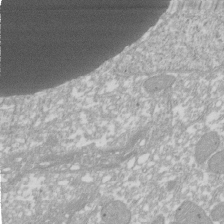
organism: Xenopus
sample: Cilia; centrioles in frog embryo cells